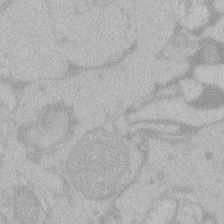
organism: Zebrafish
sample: Macrophage infected with Toxoplasma gondii